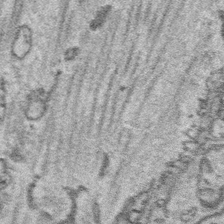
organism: Platynereis dumerilii